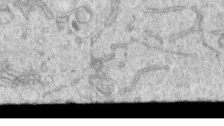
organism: Human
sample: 1205lu cells